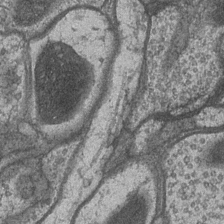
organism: Drosophila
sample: Optic medulla